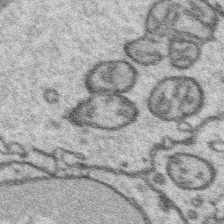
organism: Platynereis dumerilii